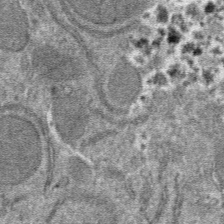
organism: Mouse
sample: Mouse hepatocytes